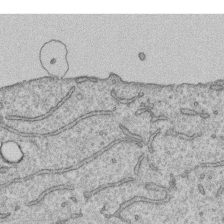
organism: Human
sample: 1205lu cells